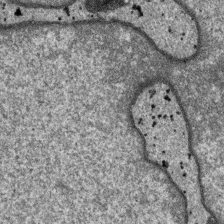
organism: Human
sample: Lung epithelial cells, uninfected (mock) control